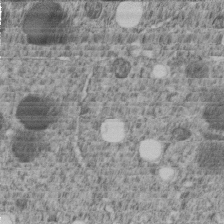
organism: C. elegans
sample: C. elegans embryo early stage